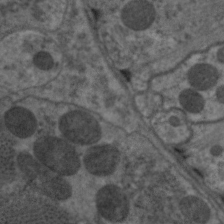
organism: C. elegans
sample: Pharynx